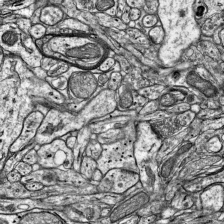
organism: Mouse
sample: Visual Cortex